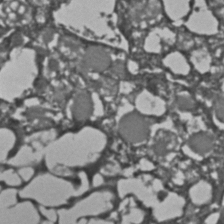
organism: C. elegans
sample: C. elegans embryo